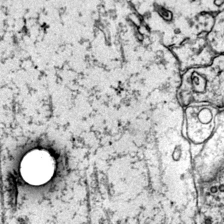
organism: Mouse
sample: Primary visual cortex